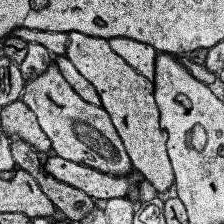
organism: Human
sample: Temporal Lobe